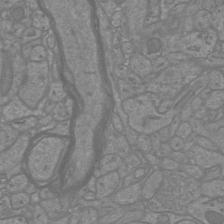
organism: Mouse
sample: Cortical neurons